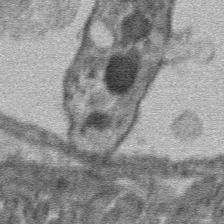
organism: Mouse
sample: Mouse hepatocytes